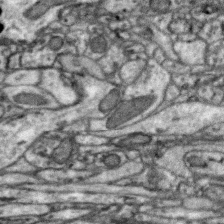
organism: Zebra finch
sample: Brain